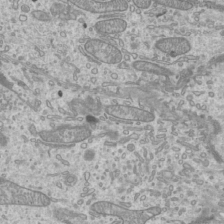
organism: Mouse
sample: Cilia; mouse epididymis